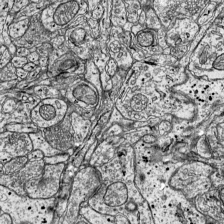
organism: Mouse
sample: Visual Cortex